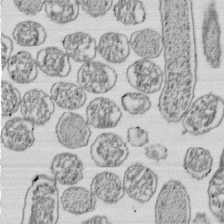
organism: E. coli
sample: Bacterial nucleoid